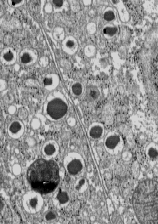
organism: C57BL Mouse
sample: Pancreatic islet